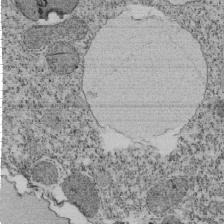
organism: Tetrahymena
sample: Cilia in tetrahymena